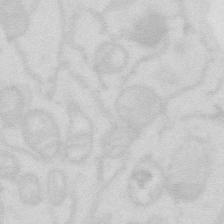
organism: Human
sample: HeLa cells